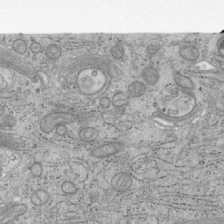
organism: Human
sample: HeLa cells